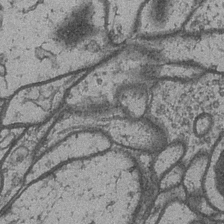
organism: Drosophila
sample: Optic medulla